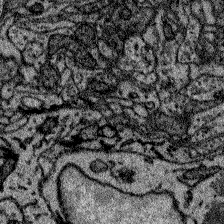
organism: Zebrafish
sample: Larval olfactory bulb